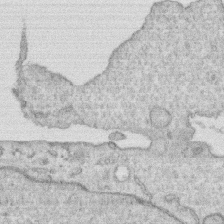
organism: Human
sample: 1205lu cells